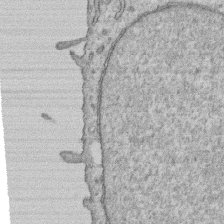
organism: Human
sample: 1205lu cells